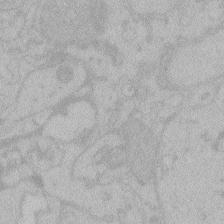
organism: Zebrafish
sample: Macrophage infected with Toxoplasma gondii